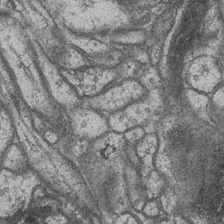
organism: Drosophila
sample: Optic medulla